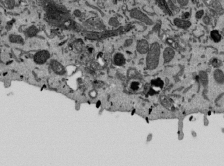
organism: Mouse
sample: ED-1 cell nuclei; centrioles